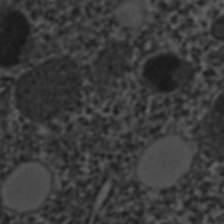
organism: C. elegans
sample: C. elegans embryo